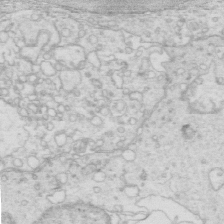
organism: Mouse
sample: Multiciliated cells